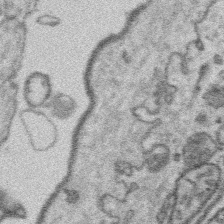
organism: Platynereis dumerilii